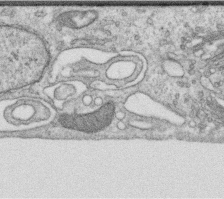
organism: Human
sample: Centriole in RPE cells